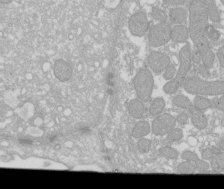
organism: Xenopus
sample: Cilia; centrioles in frog embryo cells